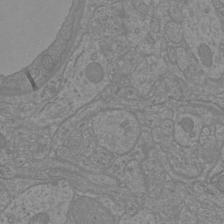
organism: Mouse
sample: Cortical neurons